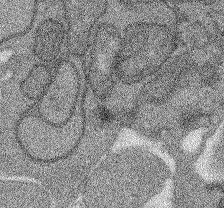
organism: Human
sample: HeLa cells